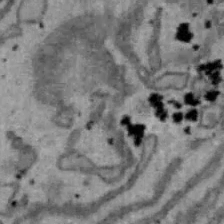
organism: Mouse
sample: Liver